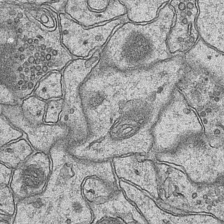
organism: Mouse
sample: CA1 Hippocampus